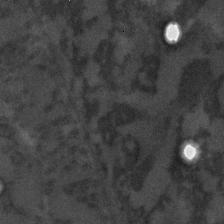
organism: C. elegans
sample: C. elegans embryo